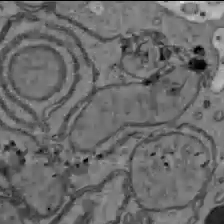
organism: C57BL Mouse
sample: Liver